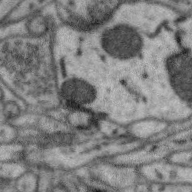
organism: Zebra finch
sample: Brain